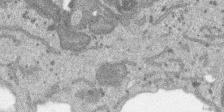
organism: Human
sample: Lung epithelial cells infected with SARS-CoV-2